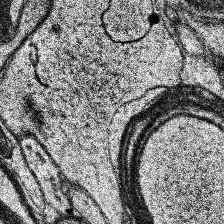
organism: Human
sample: Temporal Lobe